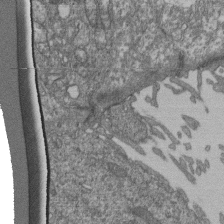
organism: Human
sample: Retinal organoid Rod and Cone cells